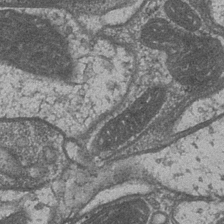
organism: Drosophila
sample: Optic medulla